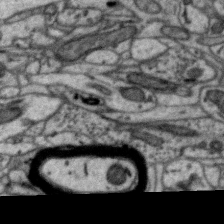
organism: Zebra finch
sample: Brain